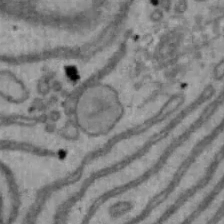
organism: Mouse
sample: Liver